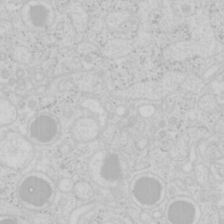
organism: Mouse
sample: Pancreas